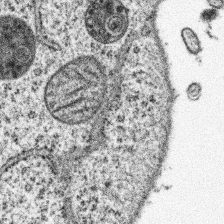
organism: Human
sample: HeLa cells